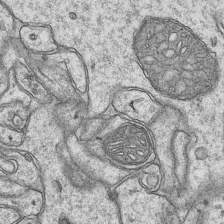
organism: Mouse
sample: CA1 Hippocampus